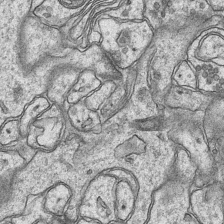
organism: Mouse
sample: CA1 Hippocampus